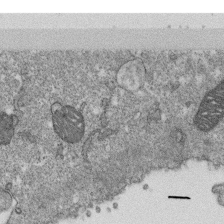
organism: African green monkey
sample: Vero E6 cells infected with SARS-CoV-2